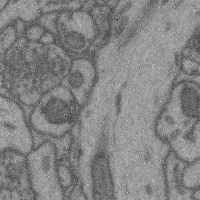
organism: Mouse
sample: Cerebral cortex